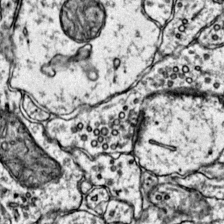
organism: Mouse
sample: Primary visual cortex